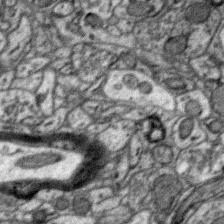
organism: Zebra finch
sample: Brain